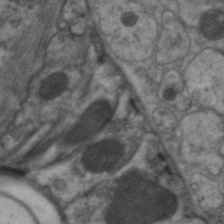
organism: C. elegans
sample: Pharynx